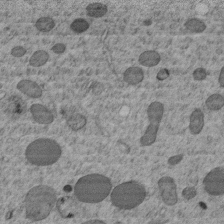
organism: C. elegans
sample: C. elegans embryo early stage